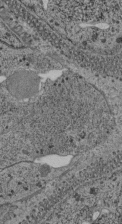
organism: C. elegans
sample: C. elegans pharynx